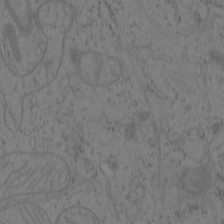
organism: Human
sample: HeLa cells